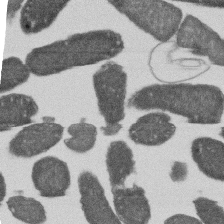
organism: E. coli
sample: Bacterial nucleoid